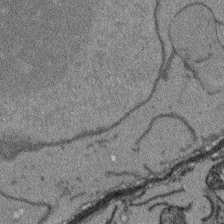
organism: Arabidopsis thaliana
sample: Root tip